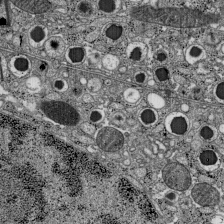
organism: C57BL Mouse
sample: Pancreatic islet